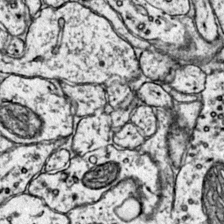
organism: Mouse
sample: Primary visual cortex